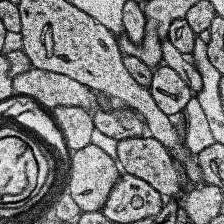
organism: Human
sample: Temporal Lobe